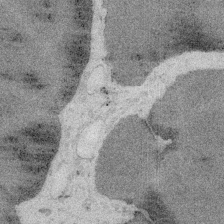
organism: Embia sp.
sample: Silk gland